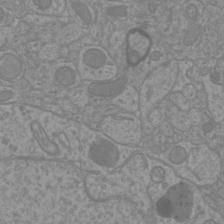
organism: Mouse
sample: Cortical neurons